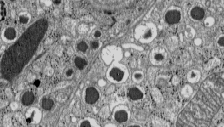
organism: C57BL Mouse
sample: Pancreatic islet